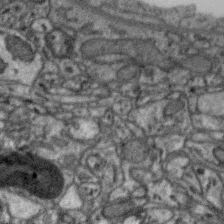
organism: Zebra finch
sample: Brain